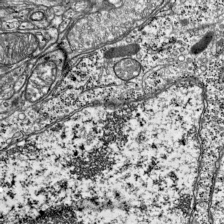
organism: Mouse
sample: Visual Cortex